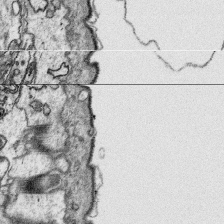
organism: Platynereis dumerilii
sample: Parapodia